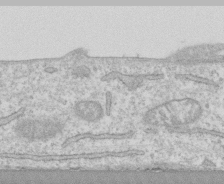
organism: Human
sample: CRL-1474